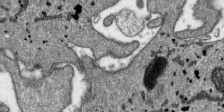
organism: Human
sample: Lung epithelial cells, uninfected (mock) control